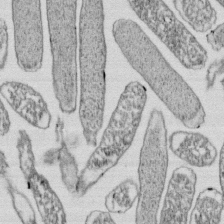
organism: E. coli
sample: Bacterial nucleoid